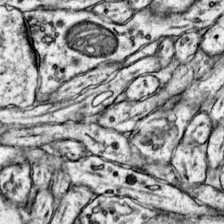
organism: Mouse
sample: Primary visual cortex